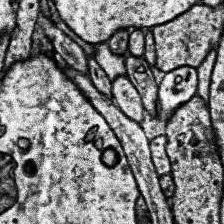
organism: Human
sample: Temporal Lobe